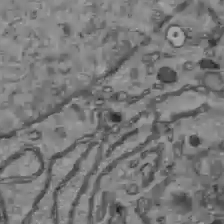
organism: C57BL Mouse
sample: Liver